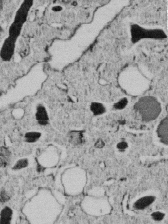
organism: C. elegans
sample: C. elegans embryo early stage